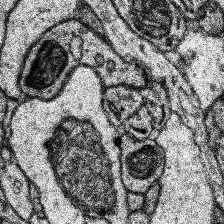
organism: Human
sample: Temporal Lobe